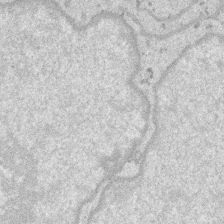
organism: Human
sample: Lung epithelial cells infected with SARS-CoV-2